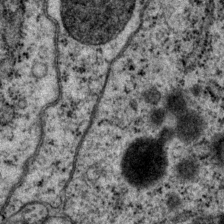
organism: P. pacificus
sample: Pharynx